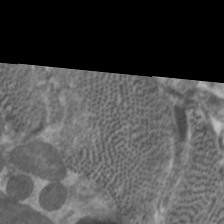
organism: C. elegans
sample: Pharynx